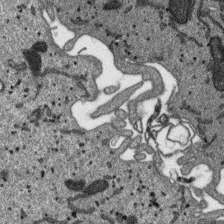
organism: Human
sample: Lung epithelial cells infected with SARS-CoV-2